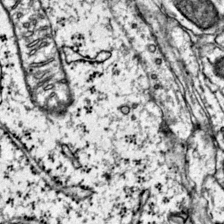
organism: Mouse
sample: Primary visual cortex